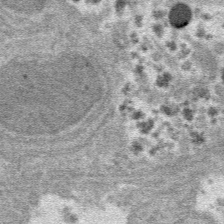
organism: Mouse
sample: Mouse hepatocytes